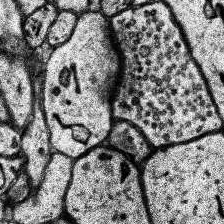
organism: Human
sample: Temporal Lobe